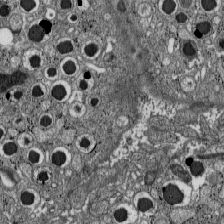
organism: C57BL Mouse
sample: Pancreatic islet